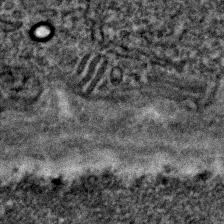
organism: C. elegans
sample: C. elegans embryo